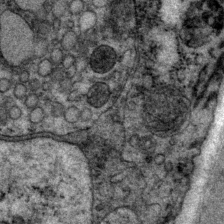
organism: P. pacificus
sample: Pharynx